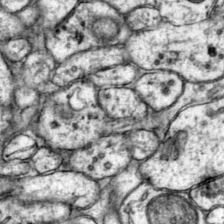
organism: Mouse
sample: Primary visual cortex